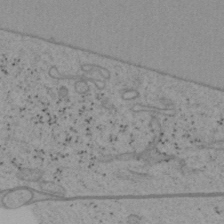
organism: Human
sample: HeLa cells